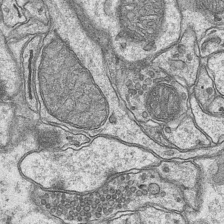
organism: Mouse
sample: CA1 Hippocampus